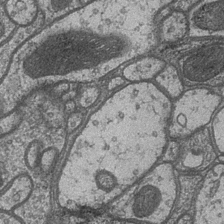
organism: Drosophila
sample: Optic medulla